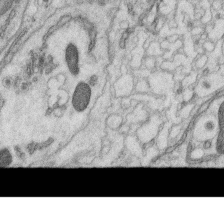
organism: C. elegans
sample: C. elegans oocyte; sperm cells